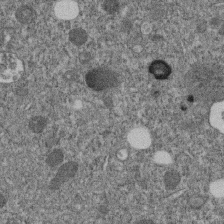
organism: C. elegans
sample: C. elegans embryo early stage